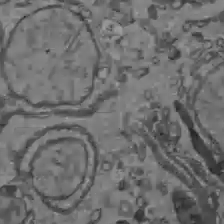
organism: C57BL Mouse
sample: Liver